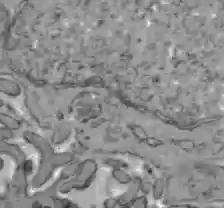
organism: C57BL Mouse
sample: Liver